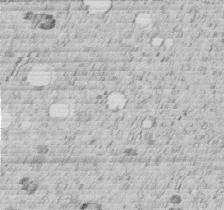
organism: C. elegans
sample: C. elegans embryo early stage